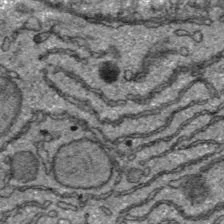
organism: C57BL Mouse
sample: Liver